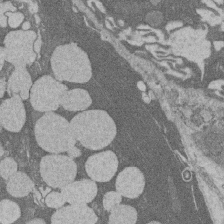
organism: Rat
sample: Salivary granule